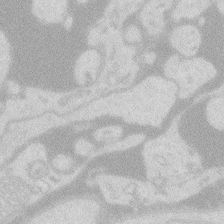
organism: Zebrafish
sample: Macrophage